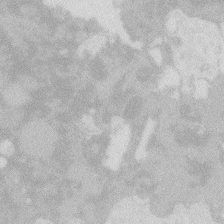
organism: Zebrafish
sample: Macrophage